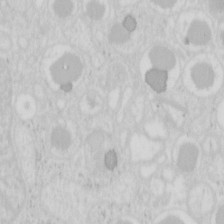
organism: Mouse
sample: Pancreas